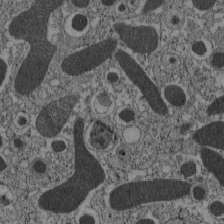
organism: C57BL Mouse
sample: Pancreatic islet